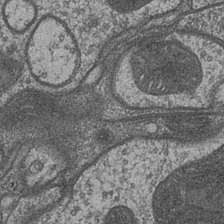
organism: Drosophila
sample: Optic medulla